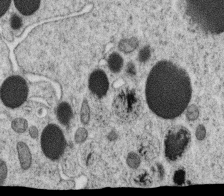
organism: C. elegans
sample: C. elegans oocyte; sperm cells